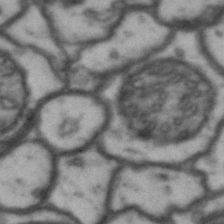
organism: Drosophila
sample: Brain